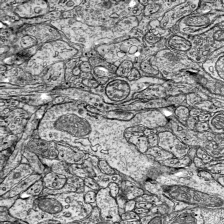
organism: Mouse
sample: Visual Cortex